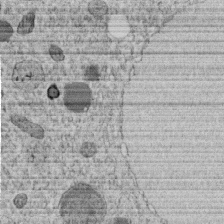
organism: C. elegans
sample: C. elegans embryo early stage